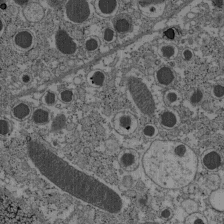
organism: C57BL Mouse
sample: Pancreatic islet